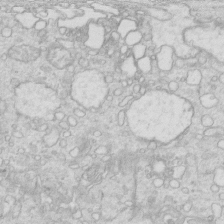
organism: Mouse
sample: Multiciliated cells